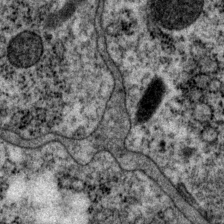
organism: P. pacificus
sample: Pharynx